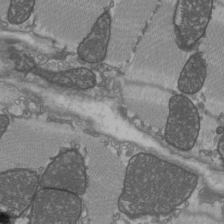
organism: C57BL Mouse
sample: Heart